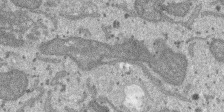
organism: Human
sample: Lung epithelial cells infected with SARS-CoV-2